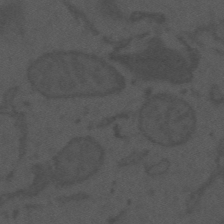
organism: Mouse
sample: Suprachiasmatic nucleus